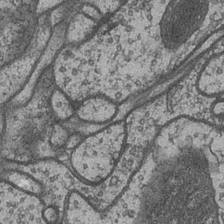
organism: Drosophila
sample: Optic medulla